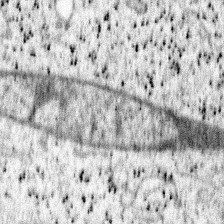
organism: Human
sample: HeLa cells